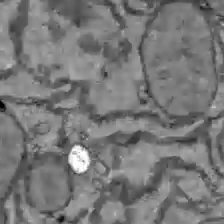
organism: C57BL Mouse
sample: Liver